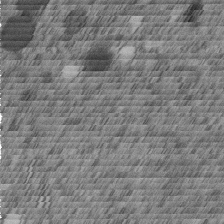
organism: C. elegans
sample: C. elegans embryo early stage